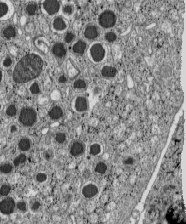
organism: C57BL Mouse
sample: Pancreatic islet